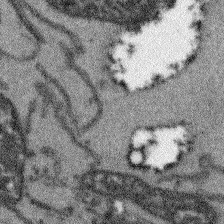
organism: Arabidopsis thaliana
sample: Root tip